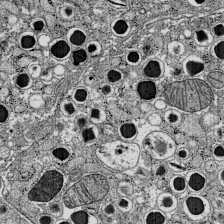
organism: C57BL Mouse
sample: Pancreatic islet